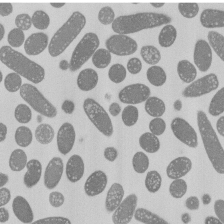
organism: E. coli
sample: Bacterial nucleoid